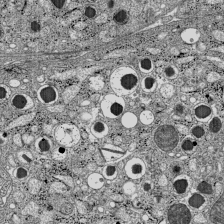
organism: C57BL Mouse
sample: Pancreatic islet